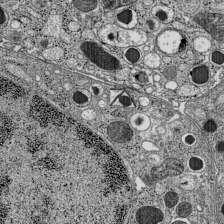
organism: C57BL Mouse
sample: Pancreatic islet